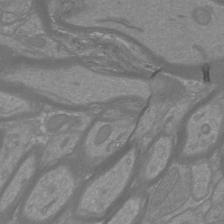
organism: Mouse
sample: Cortical neurons